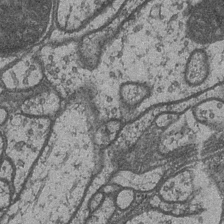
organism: Drosophila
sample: Optic medulla